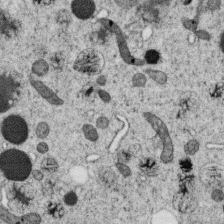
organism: C. elegans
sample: C. elegans oocyte; sperm cells